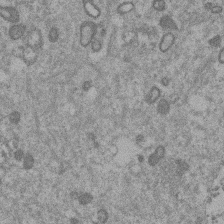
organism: Mouse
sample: Dividing mouse embryo 1 cell stage